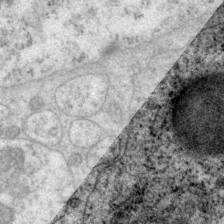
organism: P. pacificus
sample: Pharynx